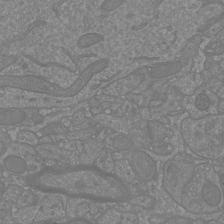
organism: Mouse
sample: Cortical neurons